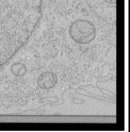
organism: Human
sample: Mitochondria in HCT116 cells